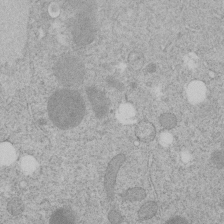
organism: C. elegans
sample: C. elegans embryo early stage